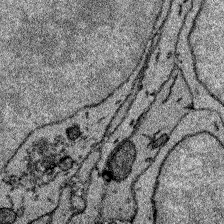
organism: Zebrafish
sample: Larval olfactory bulb